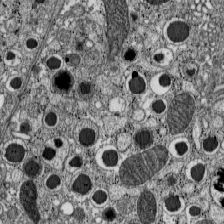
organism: C57BL Mouse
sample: Pancreatic islet